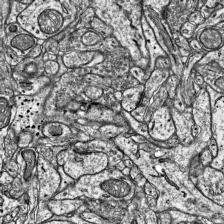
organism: Mouse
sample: Visual Cortex